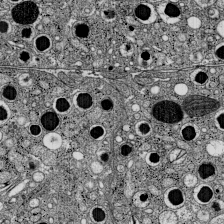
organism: C57BL Mouse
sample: Pancreatic islet